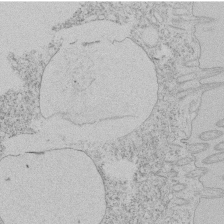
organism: Tetrahymena